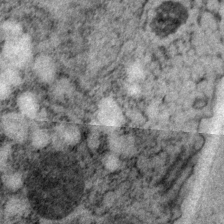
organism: P. pacificus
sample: Pharynx